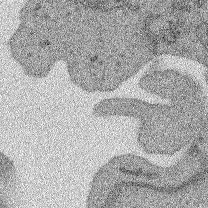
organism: Human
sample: HeLa cells